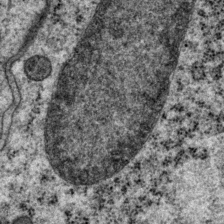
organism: P. pacificus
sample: Pharynx